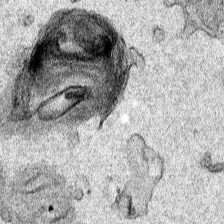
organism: Human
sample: Mitochondria in HCT116 cells